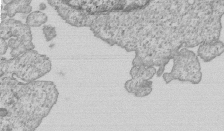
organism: Human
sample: MDA-MB-231 cells